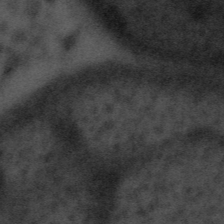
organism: Tuwongella immobilis